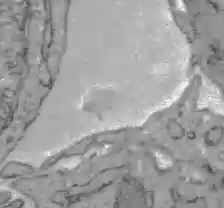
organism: C57BL Mouse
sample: Liver